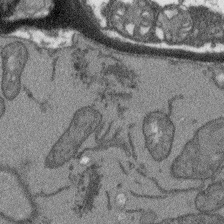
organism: Arabidopsis thaliana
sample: Root tip